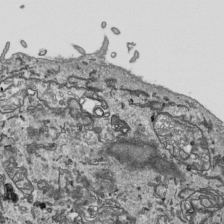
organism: Human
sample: Mitochondria in HCT116 cells